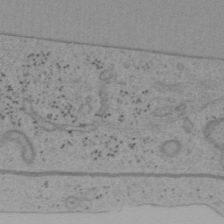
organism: Human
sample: HeLa cells